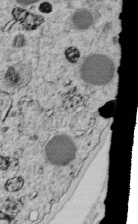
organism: C. elegans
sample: C. elegans embryo early stage